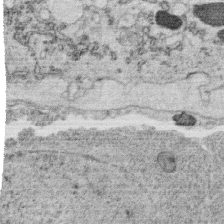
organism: C. elegans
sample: C. elegans oocyte; sperm cells